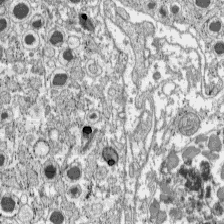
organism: C57BL Mouse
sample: Pancreatic islet